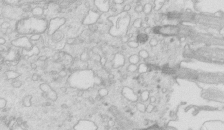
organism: Mouse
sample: Multiciliated cells